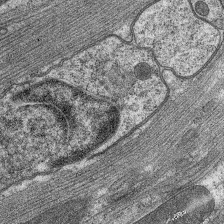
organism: C. elegans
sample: Pharynx